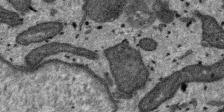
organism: Human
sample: Lung epithelial cells, uninfected (mock) control